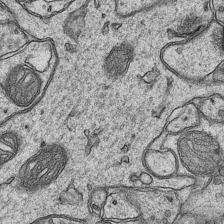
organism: Mouse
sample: CA1 Hippocampus